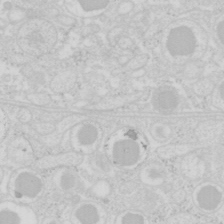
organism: Mouse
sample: Pancreas